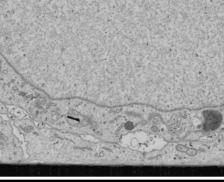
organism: Human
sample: Mitochondria in U2OS cells